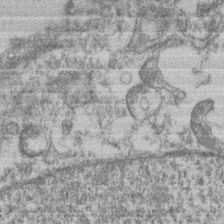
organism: Mouse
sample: T cell stromal cell synapse